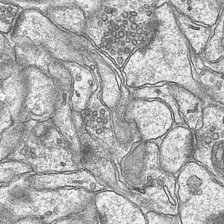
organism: Mouse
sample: CA1 Hippocampus